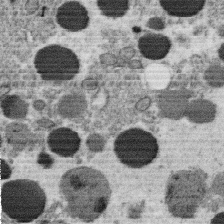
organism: C. elegans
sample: C. elegans oocyte; sperm cells